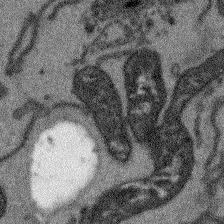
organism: Arabidopsis thaliana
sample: Root tip